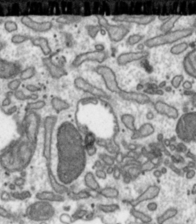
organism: Toxoplasma gondii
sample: Parasites in a vacuole inside a host cell